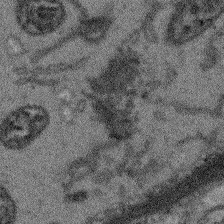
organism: Arabidopsis thaliana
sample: Root tip